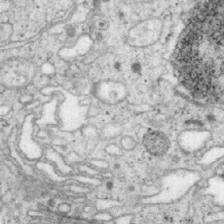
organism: Mouse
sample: OT-I killer T cells with ID8 ovarian cancer cells